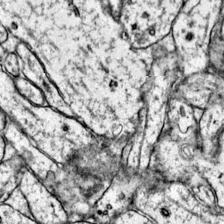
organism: Mouse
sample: Primary visual cortex